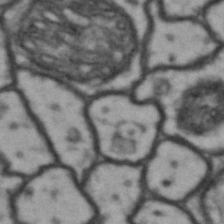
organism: Drosophila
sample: Brain